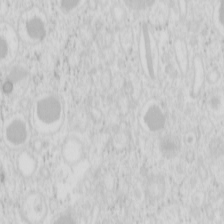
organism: Mouse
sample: Pancreas